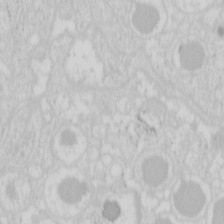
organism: Mouse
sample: Pancreas